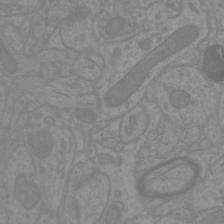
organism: Mouse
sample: Cortical neurons